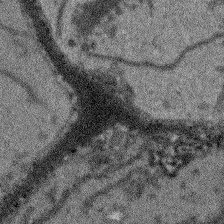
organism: Arabidopsis thaliana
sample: Root tip